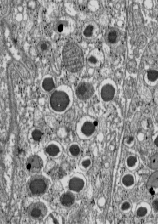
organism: C57BL Mouse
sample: Pancreatic islet